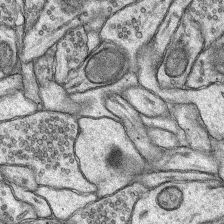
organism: Rat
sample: Hippocampus